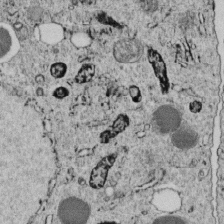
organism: C. elegans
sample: C. elegans embryo early stage